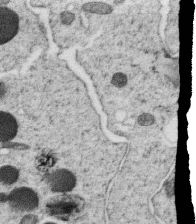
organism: C. elegans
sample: C. elegans oocyte; sperm cells